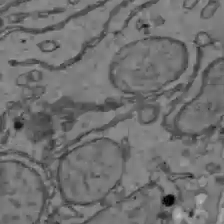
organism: C57BL Mouse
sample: Liver